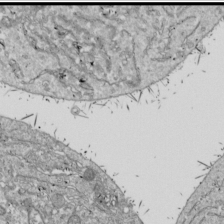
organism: Drosophila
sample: Cell division; meiosis; drosophila spermatocytes